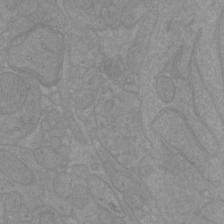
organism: Mouse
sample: Cortical neurons